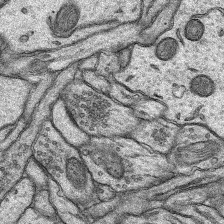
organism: Rat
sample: Hippocampus